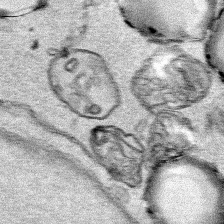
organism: Human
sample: Mitochondria in HCT116 cells